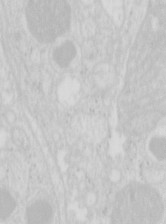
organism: Mouse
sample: Pancreas